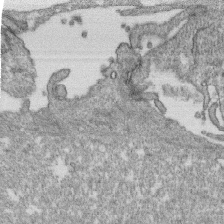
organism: African green monkey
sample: Vero E6 cells infected with SARS-CoV-2